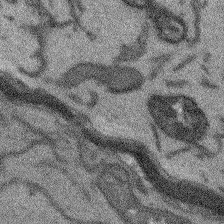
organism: Arabidopsis thaliana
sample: Root tip